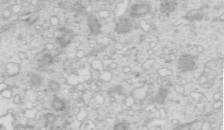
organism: Mouse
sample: Multiciliated cells